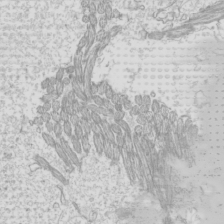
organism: Mouse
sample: Cilia; mouse epididymis